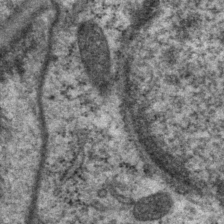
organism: P. pacificus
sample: Pharynx